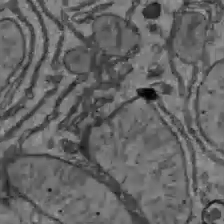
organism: C57BL Mouse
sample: Liver